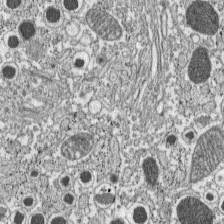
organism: C57BL Mouse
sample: Pancreatic islet